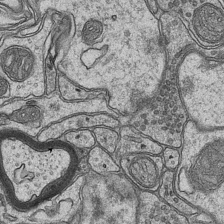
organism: Mouse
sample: CA1 Hippocampus